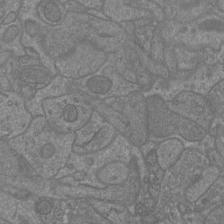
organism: Mouse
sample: Cortical neurons